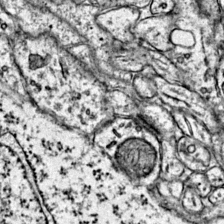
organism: Mouse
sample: Primary visual cortex